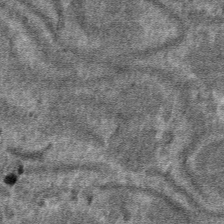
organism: Mouse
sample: Mouse hepatocytes